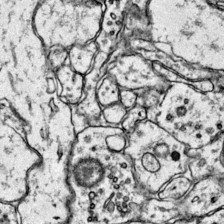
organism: Mouse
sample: Primary visual cortex